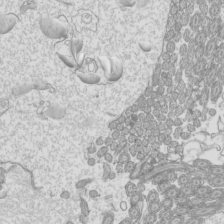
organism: Mouse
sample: Cilia; mouse epididymis